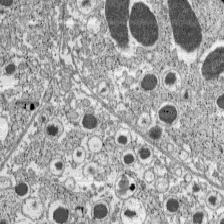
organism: C57BL Mouse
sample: Pancreatic islet